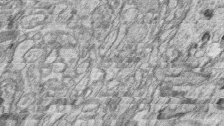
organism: Zebrafish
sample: synaptic ribbons in rod cells and cone cells